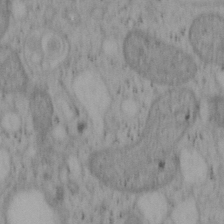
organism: Mouse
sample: OT-I killer T cells with ID8 ovarian cancer cells